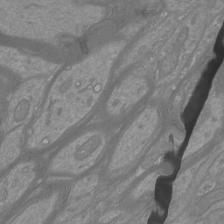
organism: Mouse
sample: Cortical neurons